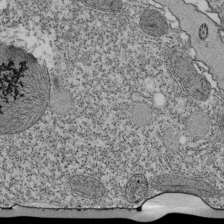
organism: Tetrahymena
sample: Cilia in tetrahymena